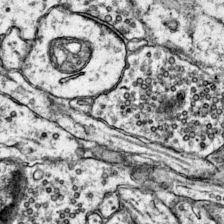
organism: Mouse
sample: Primary visual cortex